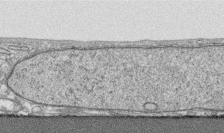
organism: Human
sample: CRL-1474